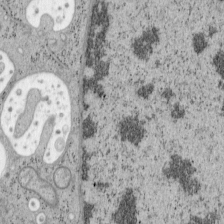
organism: Mouse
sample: OT-I killer T cells with ID8 ovarian cancer cells